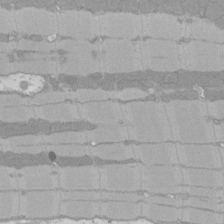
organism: Rat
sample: Left ventricle